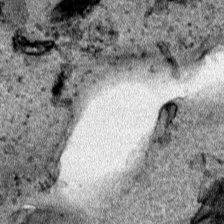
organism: Human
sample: Mitochondria in HCT116 cells